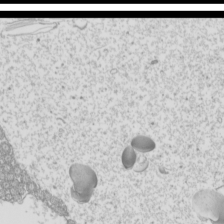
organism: Mouse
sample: Cilia; mouse epididymis